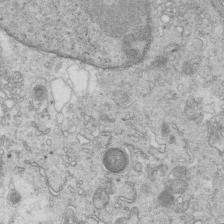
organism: Mouse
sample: Multiciliated cells